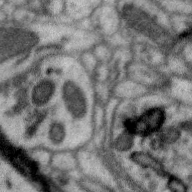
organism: Zebra finch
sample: Brain